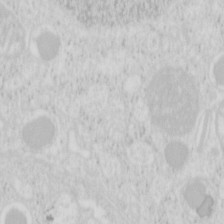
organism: Mouse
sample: Pancreas